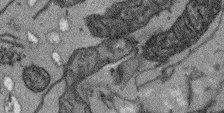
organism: Arabidopsis thaliana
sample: Root tip